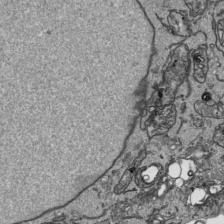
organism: Human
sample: Mitochondria in HCT116 cells